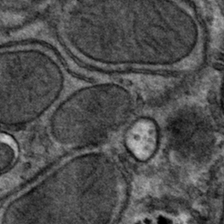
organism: Mouse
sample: Mouse hepatocytes